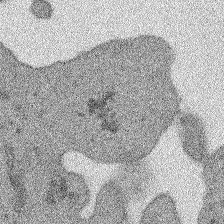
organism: Human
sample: HeLa cells